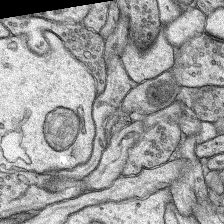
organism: Rat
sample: Hippocampus